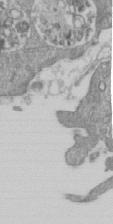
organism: Mouse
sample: ED-1 cell nuclei; centrioles